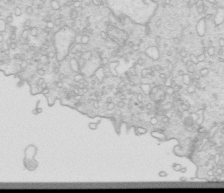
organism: Mouse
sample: Multiciliated cells